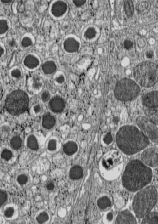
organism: C57BL Mouse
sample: Pancreatic islet